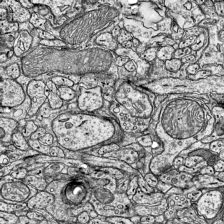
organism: Mouse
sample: Visual Cortex